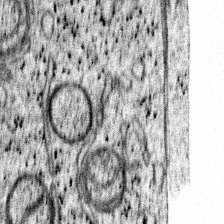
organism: Human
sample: HeLa cells